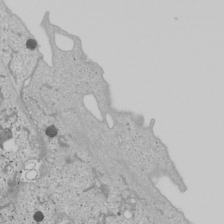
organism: Human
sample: Mitochondria in U2OS cells